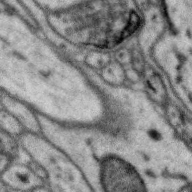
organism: Zebra finch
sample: Brain